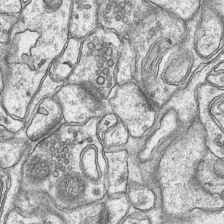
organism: Mouse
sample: CA1 Hippocampus